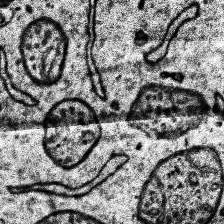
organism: Human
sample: Temporal Lobe